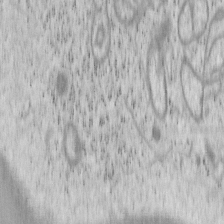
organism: Human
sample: HeLa cells